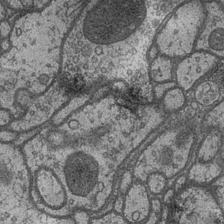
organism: Drosophila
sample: Optic medulla